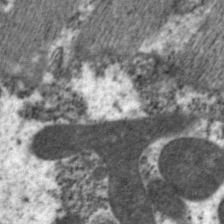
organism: C. elegans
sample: Pharynx